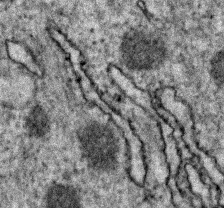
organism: Zebrafish